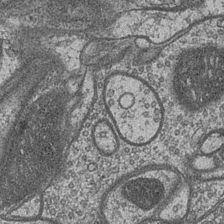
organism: Drosophila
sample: Optic medulla